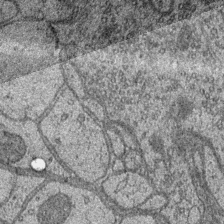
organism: Drosophila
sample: Optic medulla